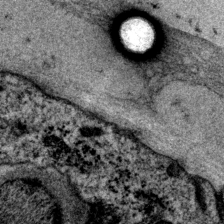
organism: P. pacificus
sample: Pharynx